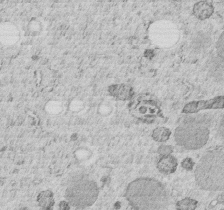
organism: C. elegans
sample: C. elegans embryo early stage